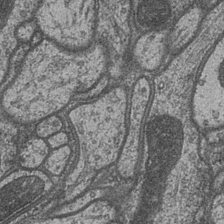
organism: Drosophila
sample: Optic medulla